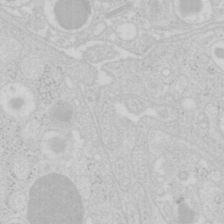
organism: Mouse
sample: Pancreas